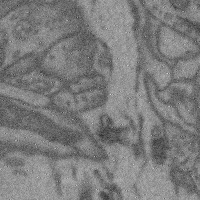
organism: Mouse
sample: Cerebral cortex